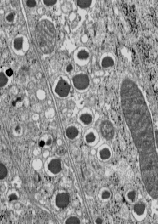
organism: C57BL Mouse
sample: Pancreatic islet